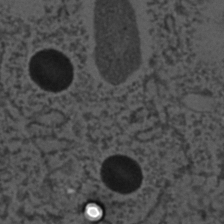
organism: C. elegans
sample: C. elegans embryo